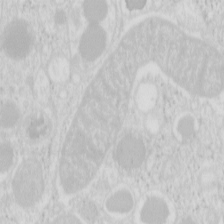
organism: Mouse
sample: Pancreas